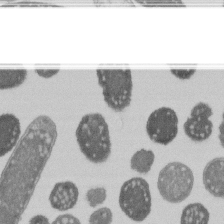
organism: E. coli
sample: Bacterial nucleoid